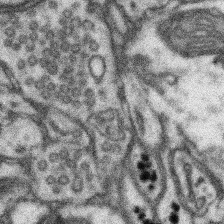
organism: Mouse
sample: Somatosensory cortex neuropil